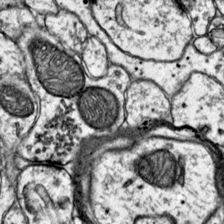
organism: Mouse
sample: Primary visual cortex